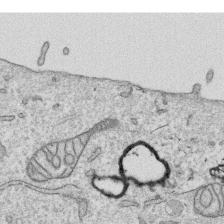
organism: Human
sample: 1205lu cells